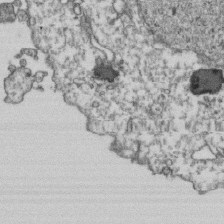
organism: Human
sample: Activated Jurkat CD4+ T cells